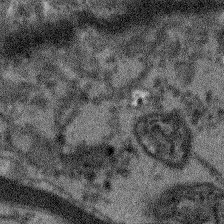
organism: Arabidopsis thaliana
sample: Root tip